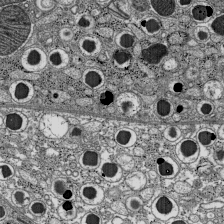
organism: C57BL Mouse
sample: Pancreatic islet